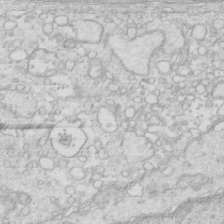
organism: Mouse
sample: Multiciliated cells